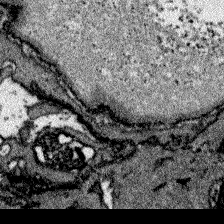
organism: Zebrafish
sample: Larval olfactory bulb